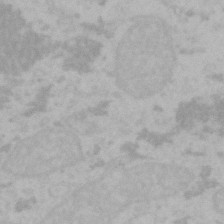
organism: Mouse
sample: Choroid plexus